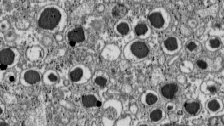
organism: C57BL Mouse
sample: Pancreatic islet